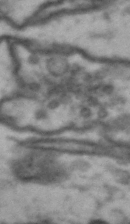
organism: Drosophila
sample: Brain